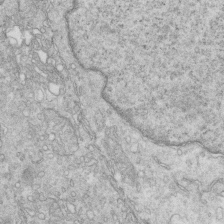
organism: Mouse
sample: Multiciliated cells